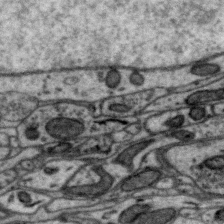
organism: Zebra finch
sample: Brain